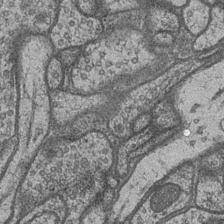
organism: Drosophila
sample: Optic medulla